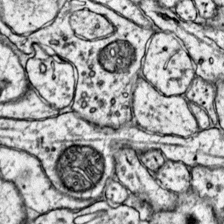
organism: Mouse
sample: Primary visual cortex